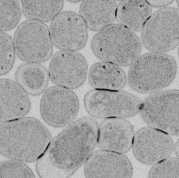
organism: E. coli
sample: Bacterial nucleoid